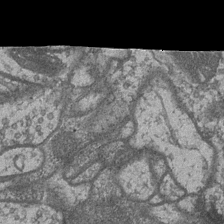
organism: Drosophila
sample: Optic medulla